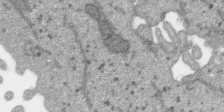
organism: Human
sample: Lung epithelial cells infected with SARS-CoV-2